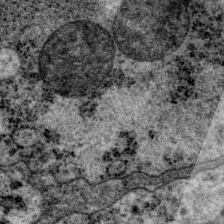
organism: P. pacificus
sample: Pharynx